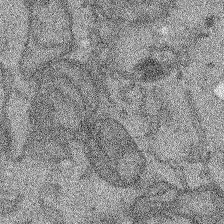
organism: Human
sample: HeLa cells